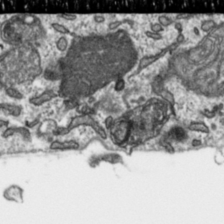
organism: Toxoplasma gondii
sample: Parasites in a vacuole inside a host cell